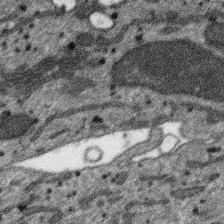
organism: Human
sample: Lung epithelial cells infected with SARS-CoV-2